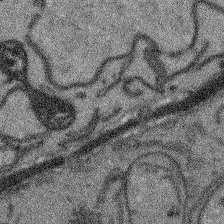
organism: Arabidopsis thaliana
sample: Root tip